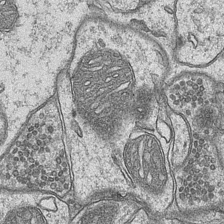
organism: Mouse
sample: CA1 Hippocampus